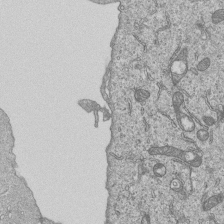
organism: Human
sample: MDA-MB-231 cells